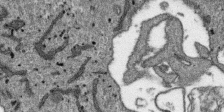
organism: Human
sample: Lung epithelial cells, uninfected (mock) control